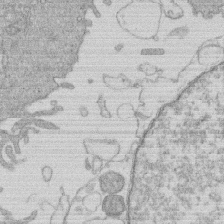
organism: Human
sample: Macrophage cells